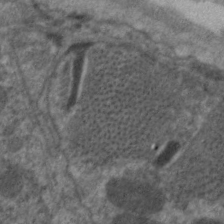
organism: C. elegans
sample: Pharynx